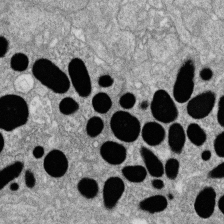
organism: Zebrafish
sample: Cilia; retinal pigment epithelium